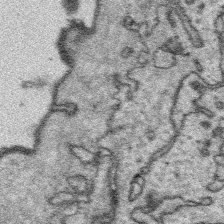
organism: Platynereis dumerilii